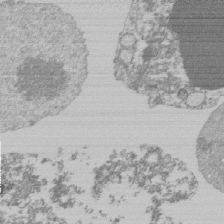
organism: Mouse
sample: Activated Pmel transgenic CD8+ T Cells